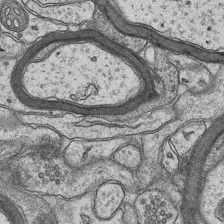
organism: Mouse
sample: CA1 Hippocampus